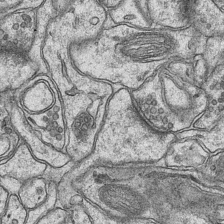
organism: Mouse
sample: CA1 Hippocampus